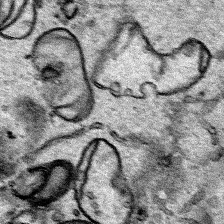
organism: Human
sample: Mitochondria in HCT116 cells